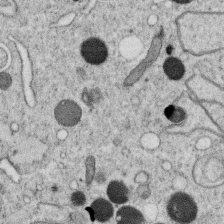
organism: C. elegans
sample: C. elegans oocyte; sperm cells